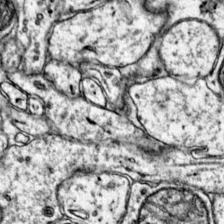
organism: Mouse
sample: Primary visual cortex